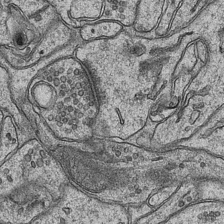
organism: Mouse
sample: CA1 Hippocampus